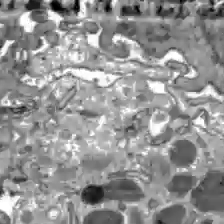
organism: C57BL Mouse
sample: Liver